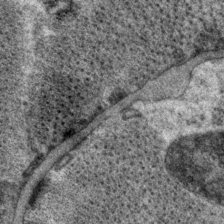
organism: P. pacificus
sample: Pharynx